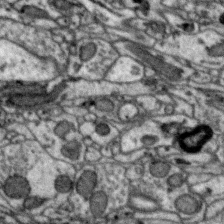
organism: Zebra finch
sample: Brain